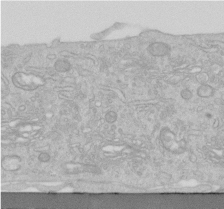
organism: Human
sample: Centriole in RPE cells